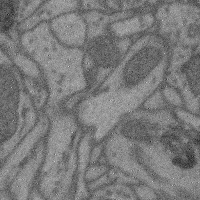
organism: Mouse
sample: Cerebral cortex